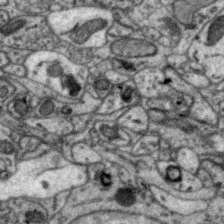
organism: Zebra finch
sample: Brain